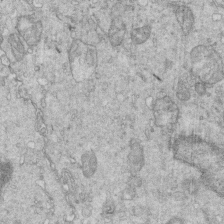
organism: Mouse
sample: Multiciliated cells